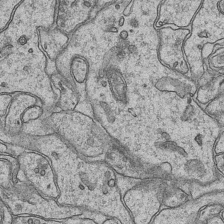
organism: Mouse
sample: CA1 Hippocampus